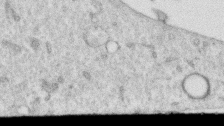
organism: Human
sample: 1205lu cells